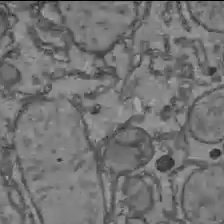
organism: C57BL Mouse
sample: Liver